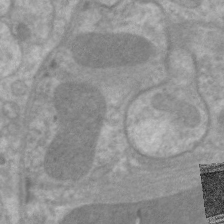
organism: C. elegans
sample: Pharynx